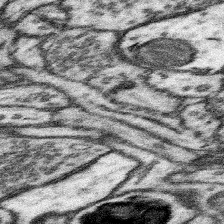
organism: Mouse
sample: Somatosensory cortex neuropil